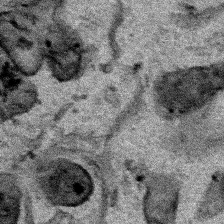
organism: Human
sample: Mitochondria in HCT116 cells